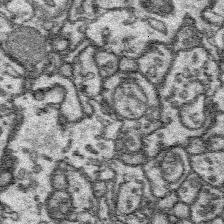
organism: Platynereis dumerilii